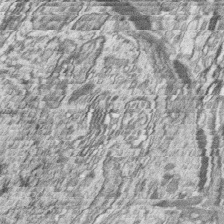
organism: Zebrafish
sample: synaptic ribbons in rod cells and cone cells